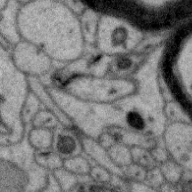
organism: Zebra finch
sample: Brain